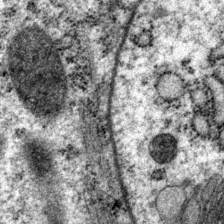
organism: P. pacificus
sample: Pharynx